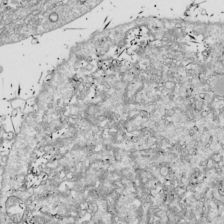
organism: Drosophila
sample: Cell division; meiosis; drosophila spermatocytes